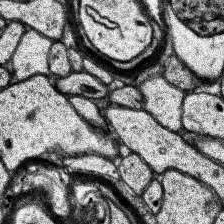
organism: Human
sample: Temporal Lobe